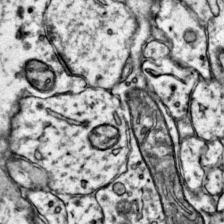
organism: Mouse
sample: Primary visual cortex